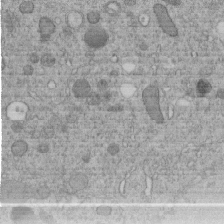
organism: C. elegans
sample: C. elegans embryo early stage